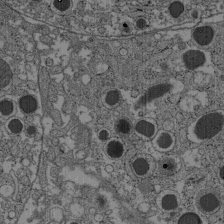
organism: C57BL Mouse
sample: Pancreatic islet